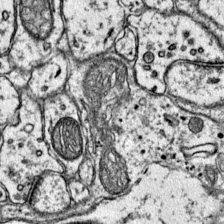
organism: Mouse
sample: Primary visual cortex